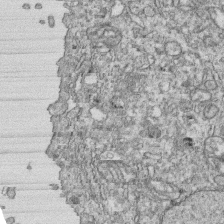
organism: Human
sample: HeLa cell HIV synapse